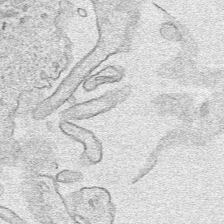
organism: Human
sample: Mitochondria in HCT116 cells